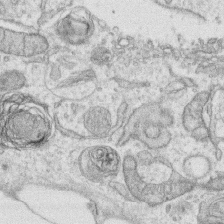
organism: Human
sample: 1205lu cells